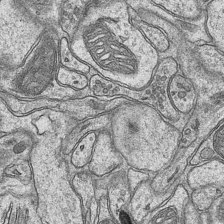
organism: Mouse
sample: CA1 Hippocampus